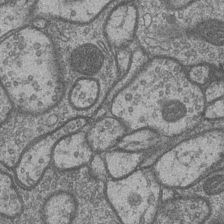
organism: Drosophila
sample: Optic medulla